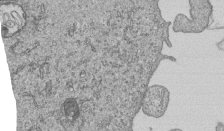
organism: Human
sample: MDA-MB-231 cells